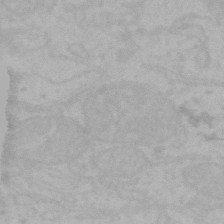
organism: Mouse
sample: Choroid plexus